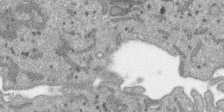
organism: Human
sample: Lung epithelial cells infected with SARS-CoV-2